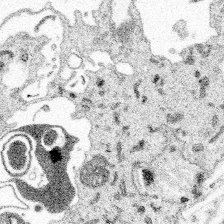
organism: Spongilla lacustris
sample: Multiple